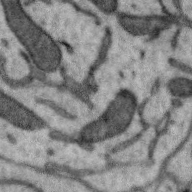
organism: Zebra finch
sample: Brain